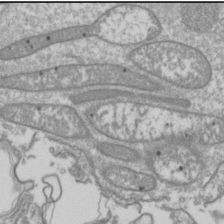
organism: Drosophila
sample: Cell division; meiosis; drosophila spermatocytes